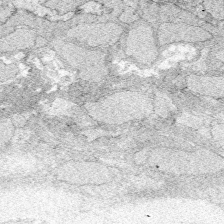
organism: Zebrafish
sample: Whole-Brain